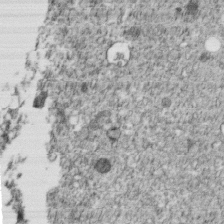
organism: C. elegans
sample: C. elegans embryo early stage